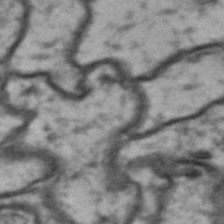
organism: Drosophila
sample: Brain